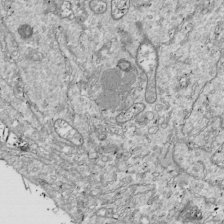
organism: Drosophila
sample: Cell division; meiosis; drosophila spermatocytes